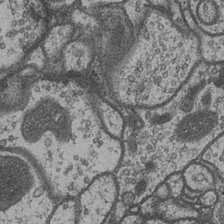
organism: Drosophila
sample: Optic medulla